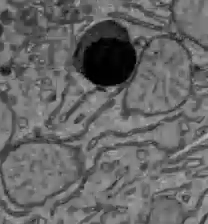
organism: C57BL Mouse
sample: Liver